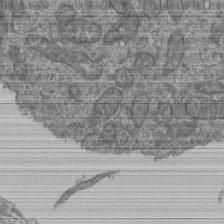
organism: Human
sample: Retinal organoid Rod and Cone cells